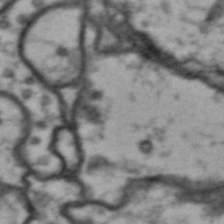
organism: Drosophila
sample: Brain